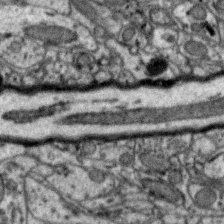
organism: Zebra finch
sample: Brain